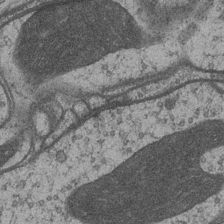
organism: Drosophila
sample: Optic medulla